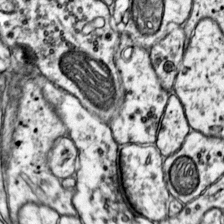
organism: Mouse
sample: Primary visual cortex